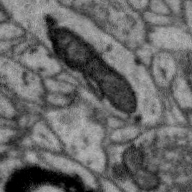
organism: Zebra finch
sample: Brain